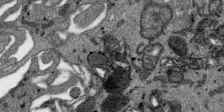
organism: Human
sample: Lung epithelial cells, uninfected (mock) control